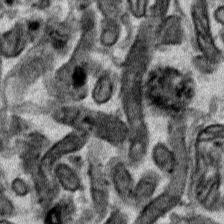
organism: Human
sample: Mitochondria in HCT116 cells